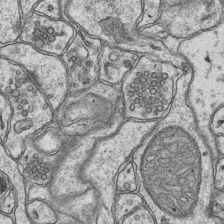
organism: Mouse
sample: CA1 Hippocampus